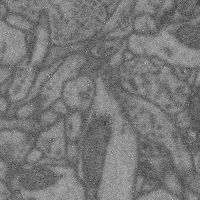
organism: Mouse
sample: Cerebral cortex